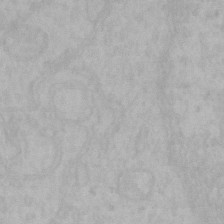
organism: Mouse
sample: Choroid plexus